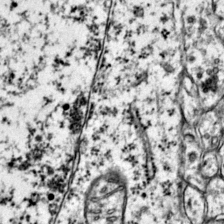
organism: Mouse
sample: Primary visual cortex